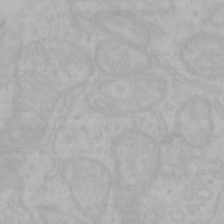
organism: Mouse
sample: Choroid plexus